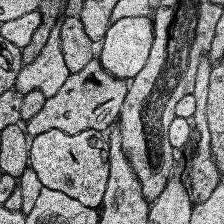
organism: Human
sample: Temporal Lobe